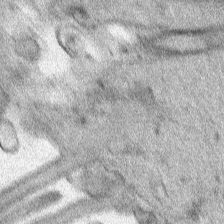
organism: Human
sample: Mitochondria in HCT116 cells